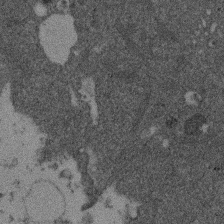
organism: Mouse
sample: Dividing mouse embryo 1 cell stage